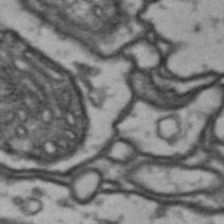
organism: Drosophila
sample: Brain